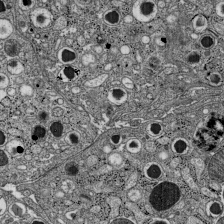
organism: C57BL Mouse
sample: Pancreatic islet